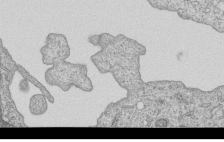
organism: Human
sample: MDA-MB-231 cells